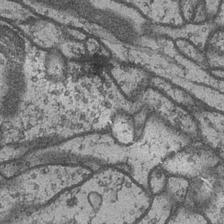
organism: Drosophila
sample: Optic medulla